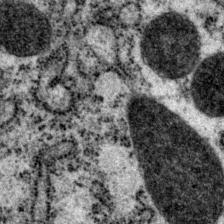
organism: P. pacificus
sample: Pharynx